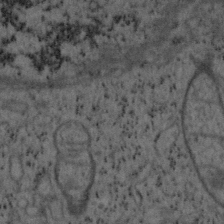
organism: Human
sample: HeLa cells